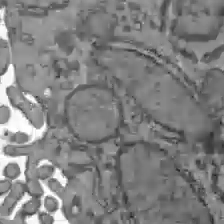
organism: C57BL Mouse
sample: Liver